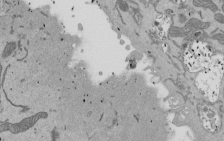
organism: Mouse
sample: ED-1 cell nuclei; centrioles